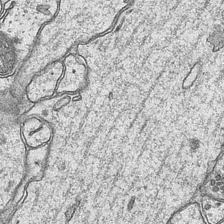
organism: Mouse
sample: CA1 Hippocampus